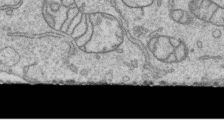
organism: Human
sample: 1205lu cells